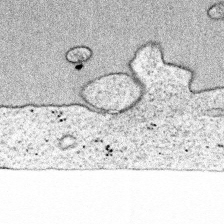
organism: Human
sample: HeLa cells